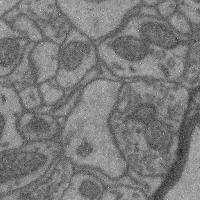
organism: Mouse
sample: Cerebral cortex